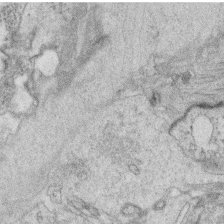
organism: C. elegans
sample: C. elegans oocyte; sperm cells